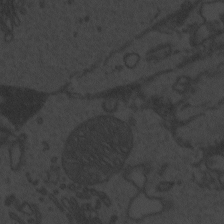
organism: Zebrafish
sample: Macrophage infected with Toxoplasma gondii